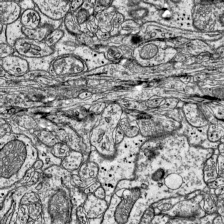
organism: Mouse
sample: Visual Cortex